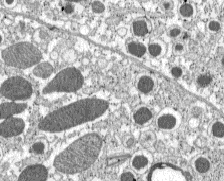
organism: C57BL Mouse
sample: Pancreatic islet